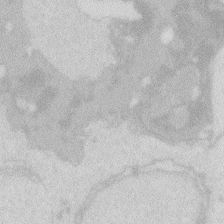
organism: Zebrafish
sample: Macrophage